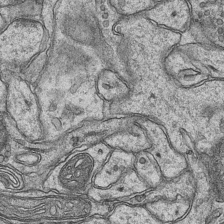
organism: Mouse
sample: CA1 Hippocampus